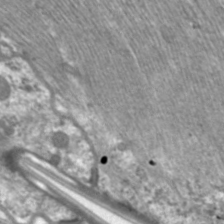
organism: C. elegans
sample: Pharynx